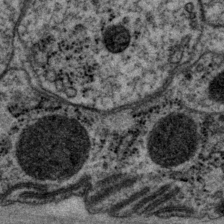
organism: P. pacificus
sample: Pharynx